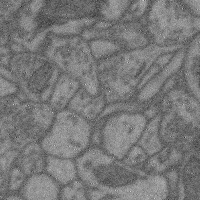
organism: Mouse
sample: Cerebral cortex